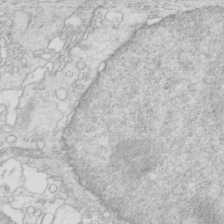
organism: Mouse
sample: Multiciliated cells